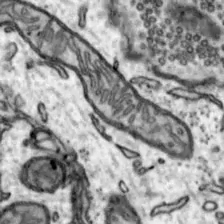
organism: Mouse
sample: Nucleus accumbens